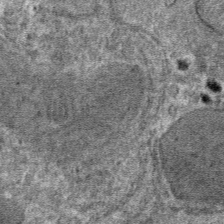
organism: Mouse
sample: Mouse hepatocytes